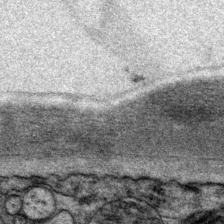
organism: P. pacificus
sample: Pharynx